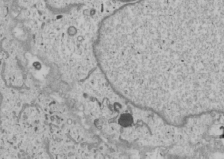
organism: Human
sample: Mitochondria in U2OS cells